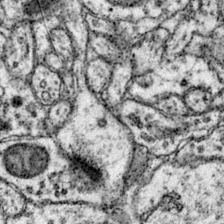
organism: Mouse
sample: Primary visual cortex